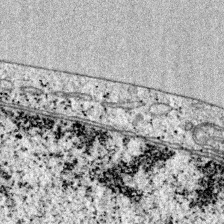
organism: Human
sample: HeLa cells